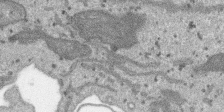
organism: Human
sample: Lung epithelial cells infected with SARS-CoV-2